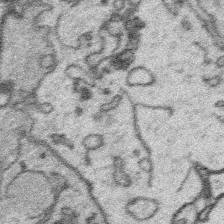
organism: Platynereis dumerilii